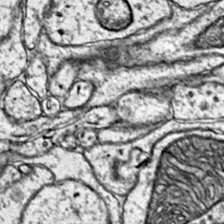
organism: Mouse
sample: Primary visual cortex